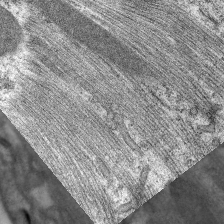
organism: C. elegans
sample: Pharynx